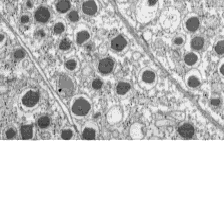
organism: C57BL Mouse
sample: Pancreatic islet